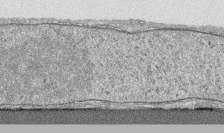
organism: Human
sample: CRL-1474